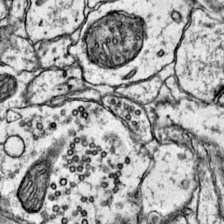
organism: Mouse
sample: Primary visual cortex